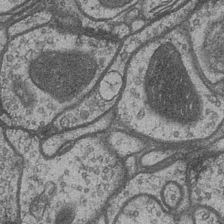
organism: Drosophila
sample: Optic medulla